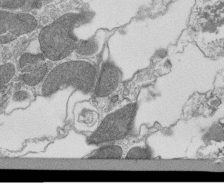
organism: Tetrahymena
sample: Cilia in tetrahymena